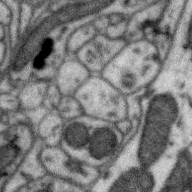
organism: Zebra finch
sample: Brain